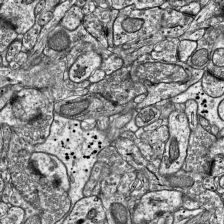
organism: Mouse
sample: Visual Cortex